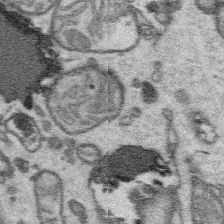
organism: Platynereis dumerilii